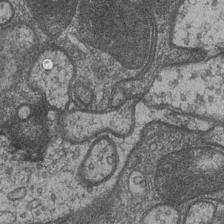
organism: Drosophila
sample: Optic medulla